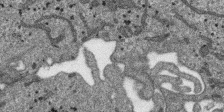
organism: Human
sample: Lung epithelial cells infected with SARS-CoV-2